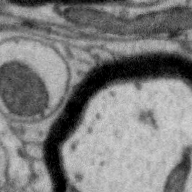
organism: Zebra finch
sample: Brain